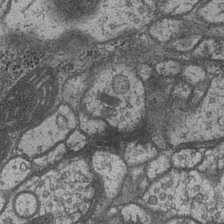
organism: Drosophila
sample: Optic medulla